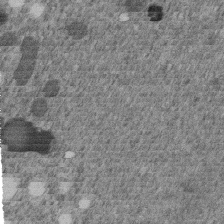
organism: C. elegans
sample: C. elegans embryo early stage